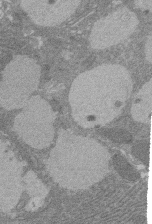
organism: Rat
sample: Salivary granule